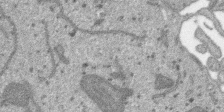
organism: Human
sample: Lung epithelial cells infected with SARS-CoV-2